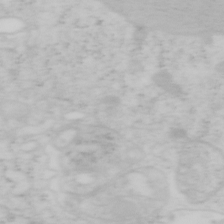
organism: Mouse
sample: OT-I killer T cells with ID8 ovarian cancer cells